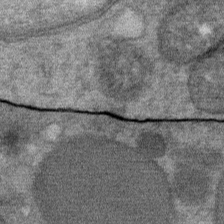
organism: Mouse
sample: Mouse Salivary gland